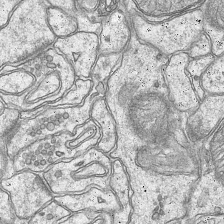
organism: Mouse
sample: CA1 Hippocampus